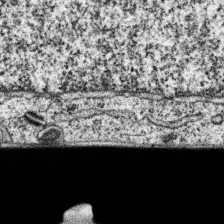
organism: Human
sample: HeLa cells